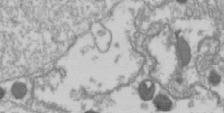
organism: Drosophila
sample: Cell division; meiosis; drosophila spermatocytes